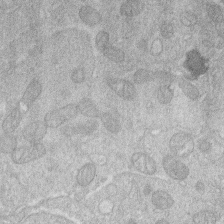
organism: Human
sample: Macrophage cells